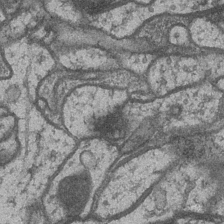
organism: Drosophila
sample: Optic medulla